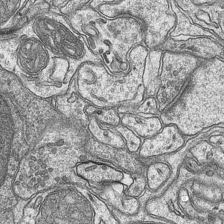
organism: Mouse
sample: CA1 Hippocampus